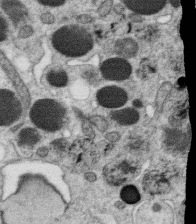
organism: C. elegans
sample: C. elegans oocyte; sperm cells